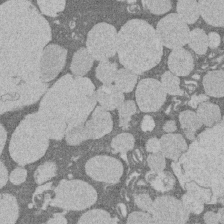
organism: Rat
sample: Salivary granule